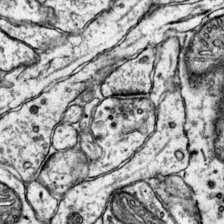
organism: Mouse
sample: Primary visual cortex